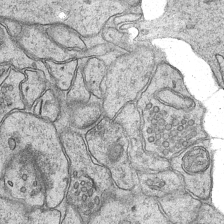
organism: Mouse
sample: CA1 Hippocampus